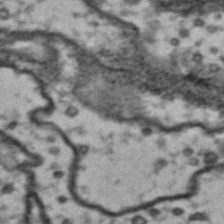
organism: Drosophila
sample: Brain